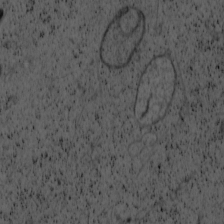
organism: African green monkey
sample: COS-7 cells